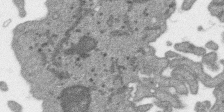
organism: Human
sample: Lung epithelial cells infected with SARS-CoV-2